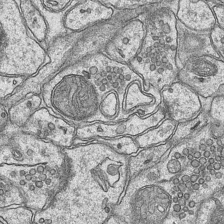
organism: Mouse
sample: CA1 Hippocampus